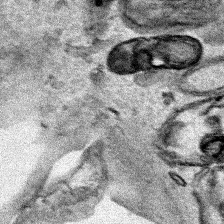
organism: Human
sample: Mitochondria in HCT116 cells